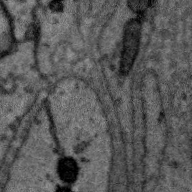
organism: Zebra finch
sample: Brain